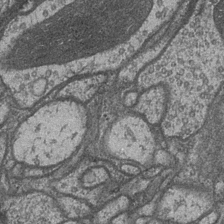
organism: Drosophila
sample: Optic medulla